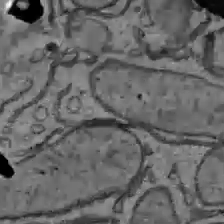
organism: C57BL Mouse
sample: Liver